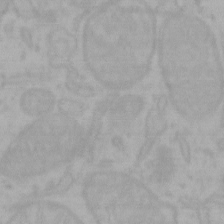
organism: Mouse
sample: Choroid plexus